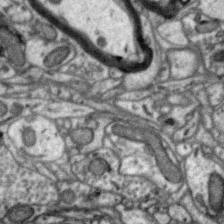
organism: Zebra finch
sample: Brain